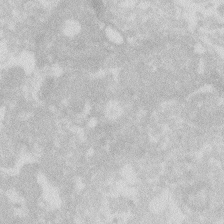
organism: Zebrafish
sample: Macrophage